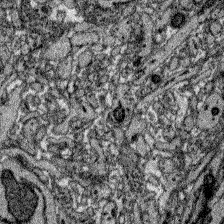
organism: Zebrafish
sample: Larval olfactory bulb